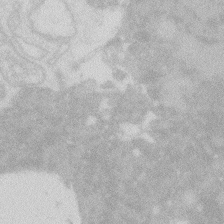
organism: Zebrafish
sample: Macrophage